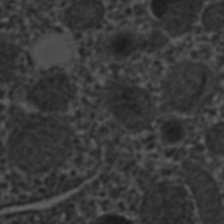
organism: C. elegans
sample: C. elegans embryo